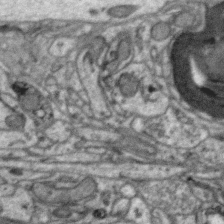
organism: Zebra finch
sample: Brain